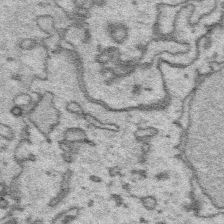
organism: Platynereis dumerilii